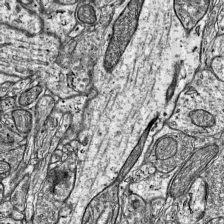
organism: Mouse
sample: Visual Cortex